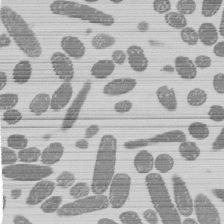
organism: E. coli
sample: Bacterial nucleoid